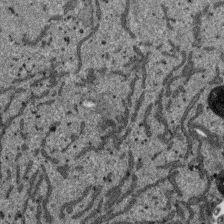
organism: Human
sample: Lung epithelial cells infected with SARS-CoV-2